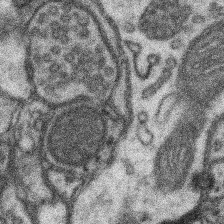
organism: Mouse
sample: Somatosensory cortex neuropil